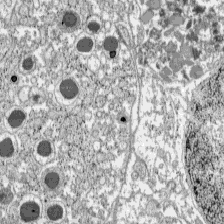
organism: C57BL Mouse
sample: Pancreatic islet